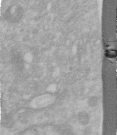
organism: Human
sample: Centriole in RPE cells